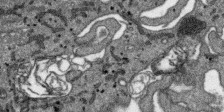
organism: Human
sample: Lung epithelial cells, uninfected (mock) control